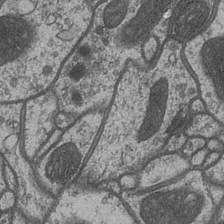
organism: Drosophila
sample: Optic medulla